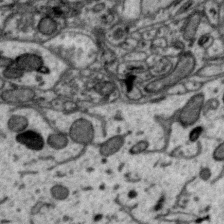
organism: Zebra finch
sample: Brain